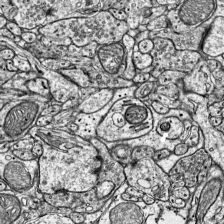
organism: Mouse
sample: Visual Cortex